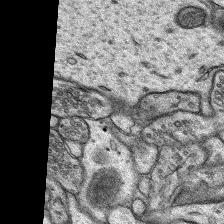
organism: Rat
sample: Hippocampus